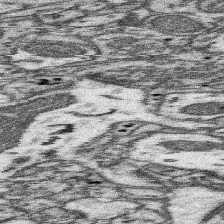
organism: Mouse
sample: Somatosensory cortex neuropil